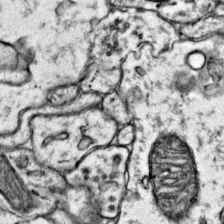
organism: Mouse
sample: Primary visual cortex